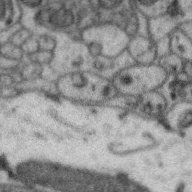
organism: Zebra finch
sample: Brain